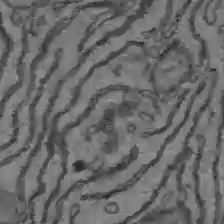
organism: C57BL Mouse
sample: Liver